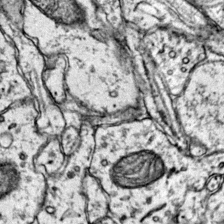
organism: Mouse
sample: Primary visual cortex